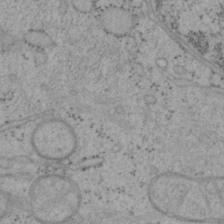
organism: Human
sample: HeLa cells